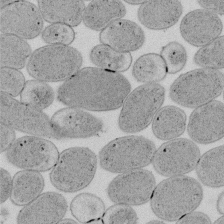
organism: E. coli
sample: Bacterial nucleoid